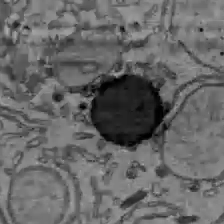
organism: C57BL Mouse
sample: Liver